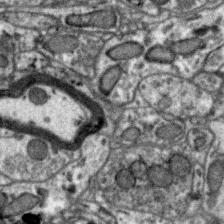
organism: Zebra finch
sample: Brain